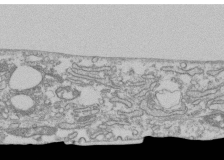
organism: Human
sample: Fibroblast cells